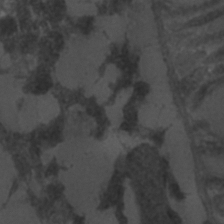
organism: C. elegans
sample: C. elegans embryo